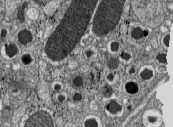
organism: C57BL Mouse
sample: Pancreatic islet